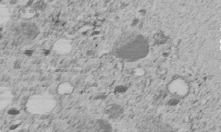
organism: C. elegans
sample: C. elegans embryo early stage